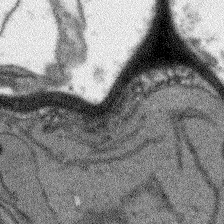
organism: Arabidopsis thaliana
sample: Root tip